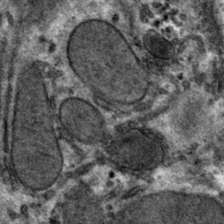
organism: Mouse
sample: Mouse hepatocytes